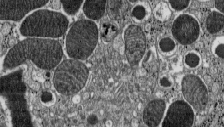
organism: C57BL Mouse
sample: Pancreatic islet